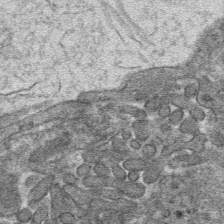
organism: Mouse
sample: Mouse hepatocytes